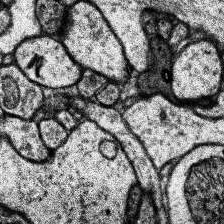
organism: Human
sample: Temporal Lobe